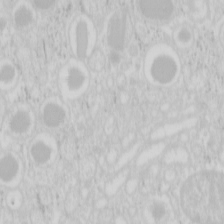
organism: Mouse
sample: Pancreas